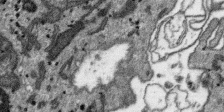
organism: Human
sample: Lung epithelial cells, uninfected (mock) control